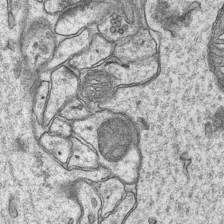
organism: Mouse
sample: CA1 Hippocampus